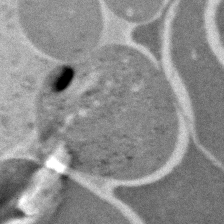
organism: Zebrafish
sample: Zebrafish embryo